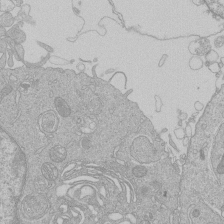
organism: Human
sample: Macrophage cells